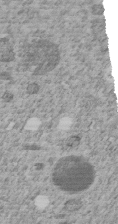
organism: C. elegans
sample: C. elegans embryo early stage